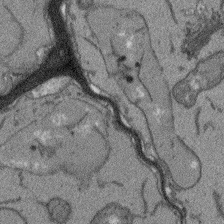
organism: Arabidopsis thaliana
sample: Root tip